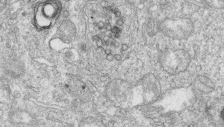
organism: Human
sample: HeLa cell HIV synapse